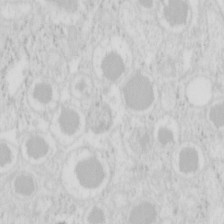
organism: Mouse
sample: Pancreas